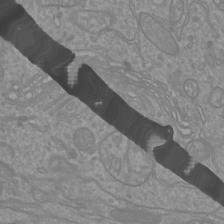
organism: Mouse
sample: Cortical neurons